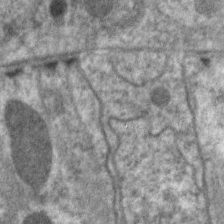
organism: C. elegans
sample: Pharynx